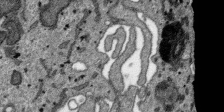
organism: Human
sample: Lung epithelial cells, uninfected (mock) control